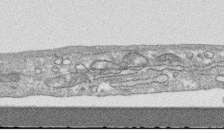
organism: Human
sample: CRL-1474